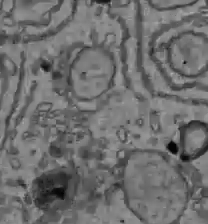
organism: C57BL Mouse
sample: Liver